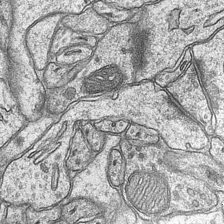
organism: Mouse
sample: CA1 Hippocampus